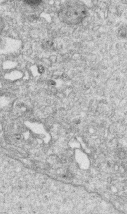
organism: Human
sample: HeLa cell HIV synapse